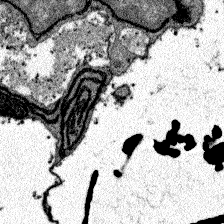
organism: Zebrafish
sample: Larval olfactory bulb